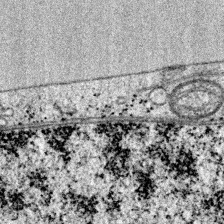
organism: Human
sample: HeLa cells